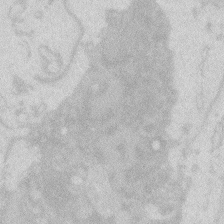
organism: Zebrafish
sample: Macrophage